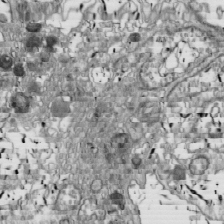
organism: Drosophila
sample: Cell division; meiosis; drosophila spermatocytes